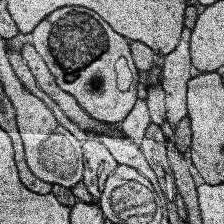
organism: Human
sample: Temporal Lobe